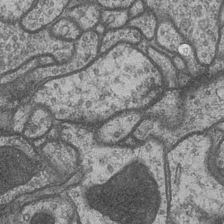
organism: Drosophila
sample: Optic medulla